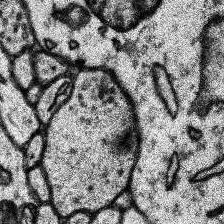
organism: Human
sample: Temporal Lobe